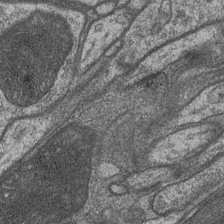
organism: Drosophila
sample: Optic medulla